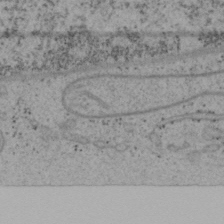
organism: Human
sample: HeLa cells